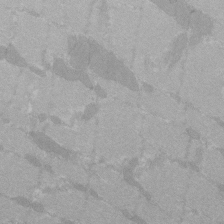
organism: C57BL Mouse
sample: Tibialis anterior muscle cell